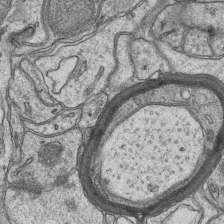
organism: Mouse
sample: CA1 Hippocampus